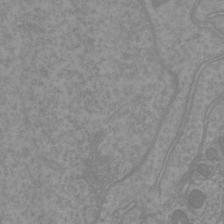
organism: Mouse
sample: Cortical neurons